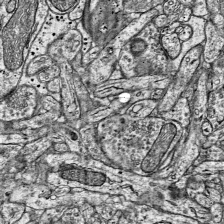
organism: Mouse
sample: Visual Cortex